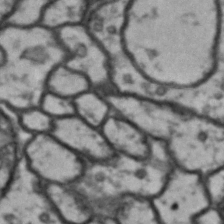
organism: Drosophila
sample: Brain